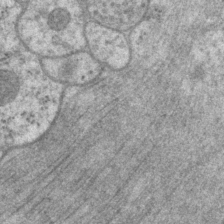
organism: P. pacificus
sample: Pharynx